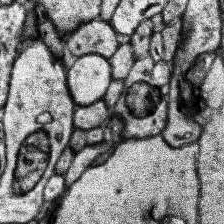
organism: Human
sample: Temporal Lobe